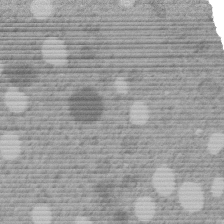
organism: C. elegans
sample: C. elegans embryo early stage